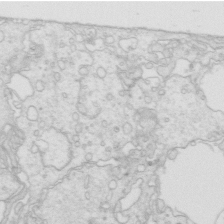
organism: Mouse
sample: Multiciliated cells